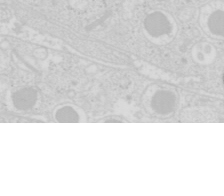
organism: Mouse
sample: Pancreas